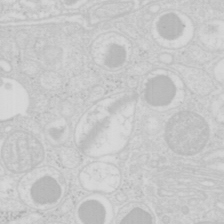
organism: Mouse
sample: Pancreas